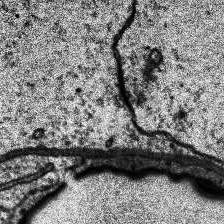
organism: Human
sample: Temporal Lobe